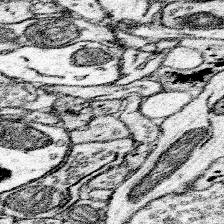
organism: Mouse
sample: Somatosensory cortex neuropil